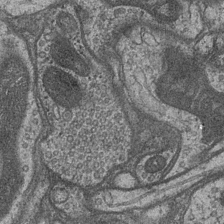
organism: Drosophila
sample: Optic medulla